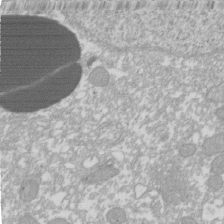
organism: Xenopus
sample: Cilia; centrioles in frog embryo cells